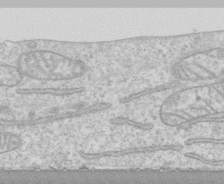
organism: Human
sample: CRL-1474